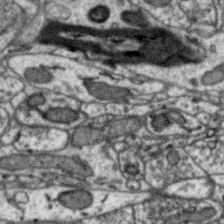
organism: Zebra finch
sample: Brain